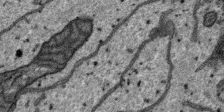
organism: Human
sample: Lung epithelial cells, uninfected (mock) control